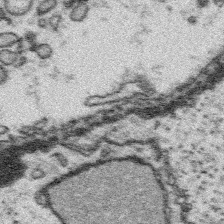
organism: Platynereis dumerilii